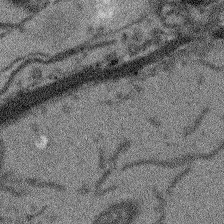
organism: Arabidopsis thaliana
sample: Root tip